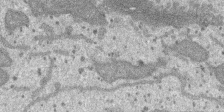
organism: Human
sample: Lung epithelial cells infected with SARS-CoV-2